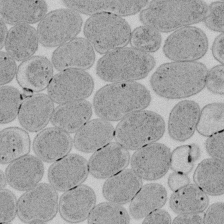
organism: E. coli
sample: Bacterial nucleoid